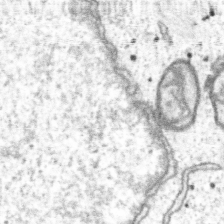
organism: Human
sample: HeLa cells